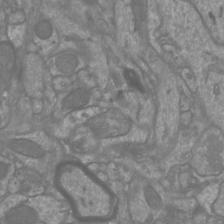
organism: Mouse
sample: Cortical neurons